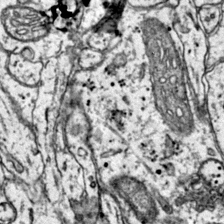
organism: Mouse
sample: Primary visual cortex